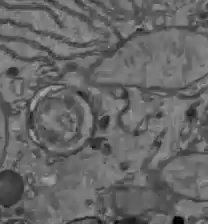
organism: C57BL Mouse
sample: Liver